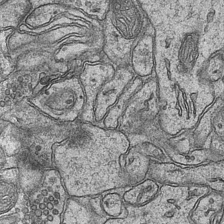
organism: Mouse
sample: CA1 Hippocampus